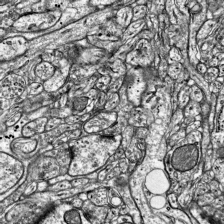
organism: Mouse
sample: Visual Cortex